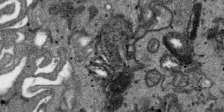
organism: Human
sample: Lung epithelial cells, uninfected (mock) control